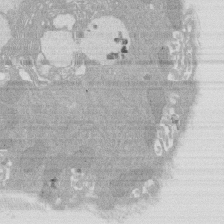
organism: Rat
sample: Salivary granule